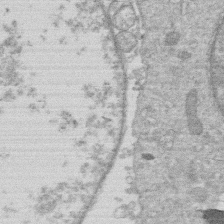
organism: Human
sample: Macrophage cells